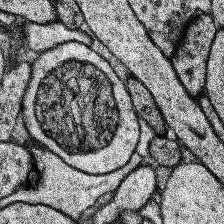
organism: Human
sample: Temporal Lobe